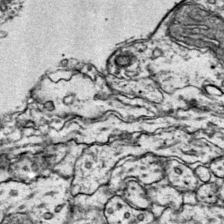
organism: Mouse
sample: Primary visual cortex